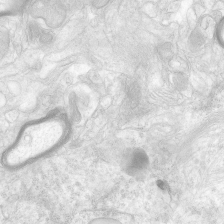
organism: Human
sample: Neocortex